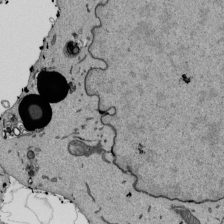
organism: Mouse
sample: ED-1 cell nuclei; centrioles